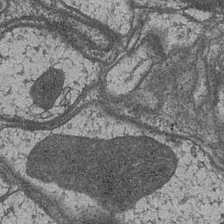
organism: Drosophila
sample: Optic medulla